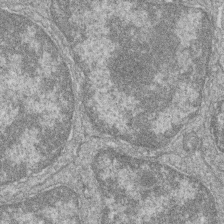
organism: Zebrafish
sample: Cilia; retinal pigment epithelium